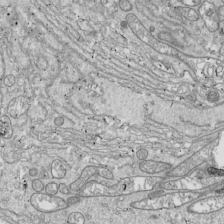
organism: Drosophila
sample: Cell division; meiosis; drosophila spermatocytes